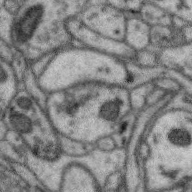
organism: Zebra finch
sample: Brain